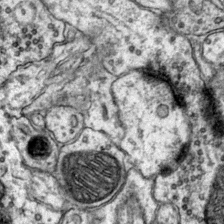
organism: Mouse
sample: Primary visual cortex